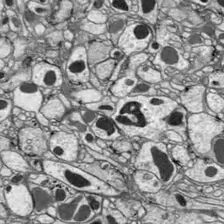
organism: Drosophila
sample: Optic lobe